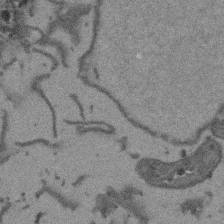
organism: Arabidopsis thaliana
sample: Root tip